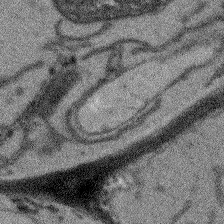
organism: Arabidopsis thaliana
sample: Root tip